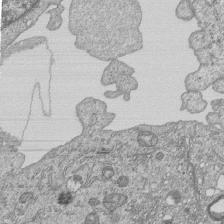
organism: Human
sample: MDA-MB-231 cells